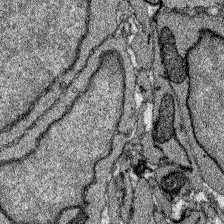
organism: Zebrafish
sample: Larval olfactory bulb